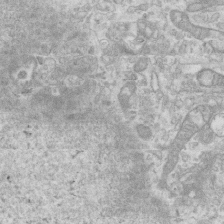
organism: Mouse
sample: Centriole in ependymal cells